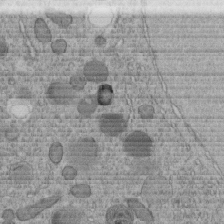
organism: C. elegans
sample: C. elegans embryo early stage